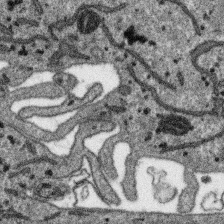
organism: Human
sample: Lung epithelial cells infected with SARS-CoV-2